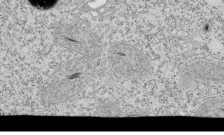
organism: Tetrahymena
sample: Cilia in tetrahymena